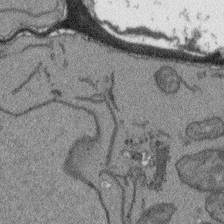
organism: Arabidopsis thaliana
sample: Root tip